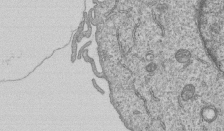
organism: Human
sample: MDA-MB-231 cells